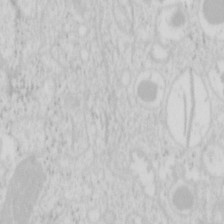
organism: Mouse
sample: Pancreas